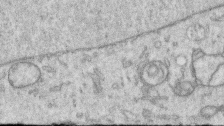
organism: Human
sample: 1205lu cells